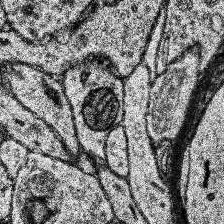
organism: Human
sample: Temporal Lobe